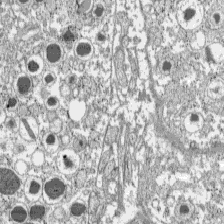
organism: C57BL Mouse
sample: Pancreatic islet